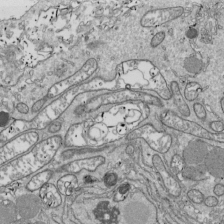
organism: Drosophila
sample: Cell division; meiosis; drosophila spermatocytes